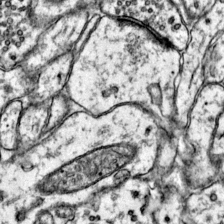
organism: Mouse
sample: Primary visual cortex